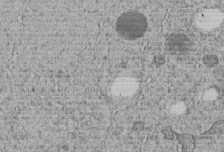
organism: C. elegans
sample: C. elegans embryo early stage